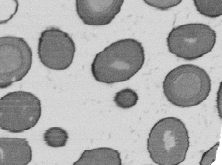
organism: B. subtilis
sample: Bacterial spore